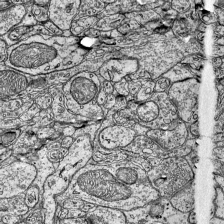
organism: Mouse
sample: Visual Cortex